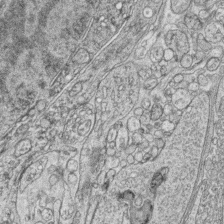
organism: Zebrafish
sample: synaptic ribbons in rod cells and cone cells